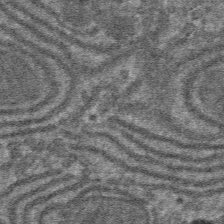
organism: Mouse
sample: Mouse hepatocytes